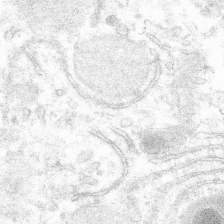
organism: Mouse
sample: Mouse hepatocytes